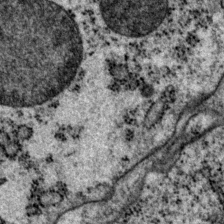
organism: P. pacificus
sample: Pharynx